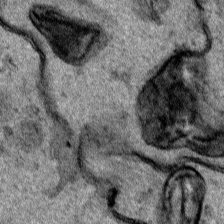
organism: Human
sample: Mitochondria in HCT116 cells